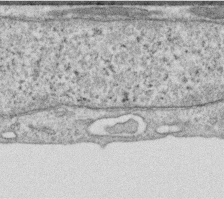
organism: Human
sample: Centriole in RPE cells